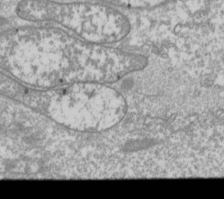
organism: Drosophila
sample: Cell division; meiosis; drosophila spermatocytes